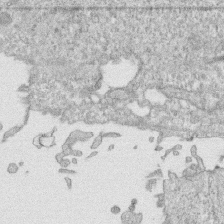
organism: Human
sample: HeLa cell HIV synapse